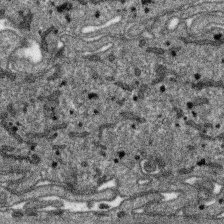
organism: Human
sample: Lung epithelial cells infected with SARS-CoV-2